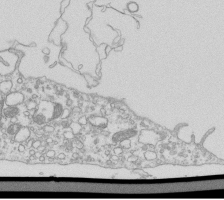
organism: Mouse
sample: Macrophages